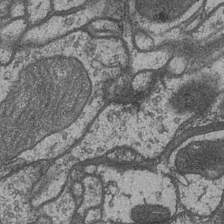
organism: Drosophila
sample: Optic medulla